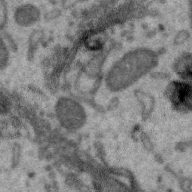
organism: Zebra finch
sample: Brain